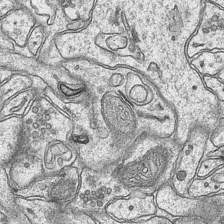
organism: Mouse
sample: CA1 Hippocampus